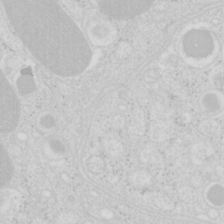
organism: Mouse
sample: Pancreas